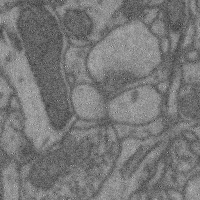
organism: Mouse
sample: Cerebral cortex